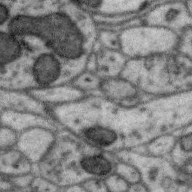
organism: Zebra finch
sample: Brain